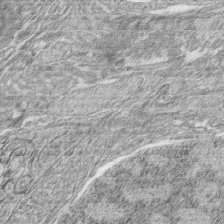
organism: Zebrafish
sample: synaptic ribbons in rod cells and cone cells